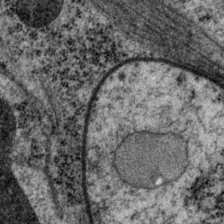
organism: P. pacificus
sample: Pharynx